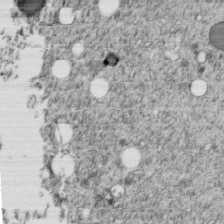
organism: C. elegans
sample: C. elegans embryo early stage